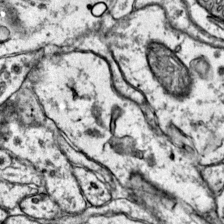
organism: Mouse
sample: Primary visual cortex